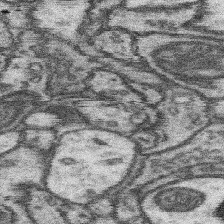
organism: Mouse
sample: Somatosensory cortex neuropil